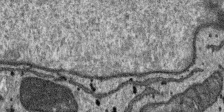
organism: Human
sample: Lung epithelial cells, uninfected (mock) control